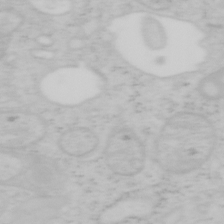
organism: Mouse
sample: OT-I killer T cells with ID8 ovarian cancer cells